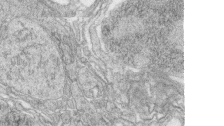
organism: Zebrafish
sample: synaptic ribbons in rod cells and cone cells